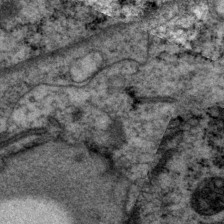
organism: P. pacificus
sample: Pharynx